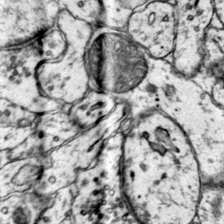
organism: Mouse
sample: Primary visual cortex